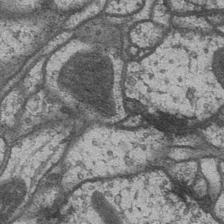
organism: Drosophila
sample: Optic medulla